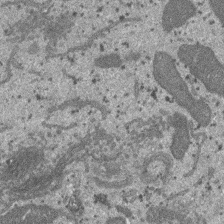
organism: Human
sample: Lung epithelial cells infected with SARS-CoV-2